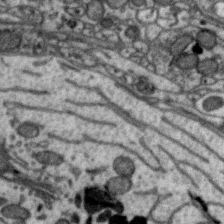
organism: Zebra finch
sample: Brain